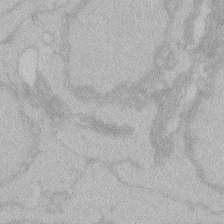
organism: Zebrafish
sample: Macrophage infected with Toxoplasma gondii